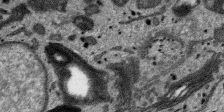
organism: Human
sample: Lung epithelial cells, uninfected (mock) control